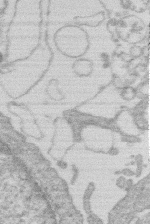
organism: Human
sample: Macrophage cells